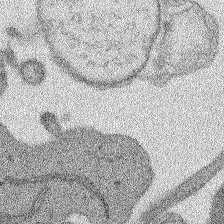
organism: Human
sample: HeLa cells